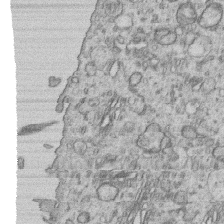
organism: Human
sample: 1205lu cells